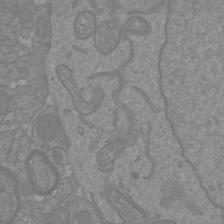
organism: Mouse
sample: Cortical neurons